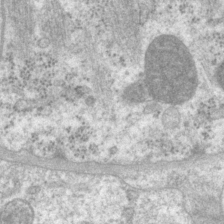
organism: P. pacificus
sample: Pharynx